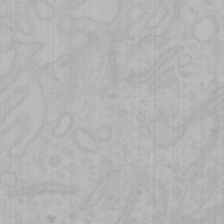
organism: Mouse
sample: Choroid plexus